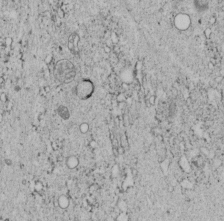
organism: C. elegans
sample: C. elegans embryo early stage